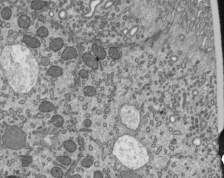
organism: Mouse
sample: Mouse epididymis efferent ductule cilia